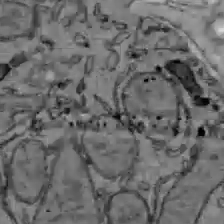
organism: C57BL Mouse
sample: Liver